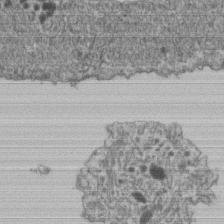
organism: Human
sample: Retinal organoid Rod and Cone cells